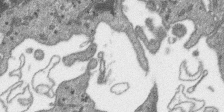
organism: Human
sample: Lung epithelial cells infected with SARS-CoV-2